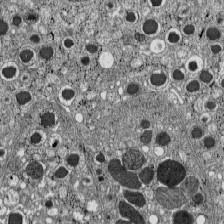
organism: C57BL Mouse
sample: Pancreatic islet